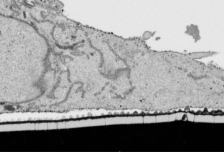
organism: Human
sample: Mitochondria in HCT116 cells